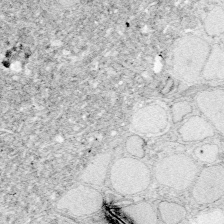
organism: Zebrafish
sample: Whole-Brain